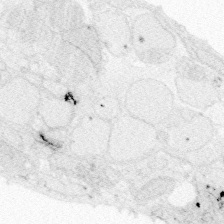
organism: Zebrafish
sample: Whole-Brain